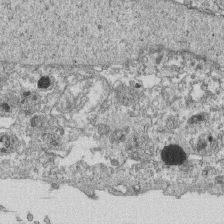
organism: Human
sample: HeLa cell HIV synapse